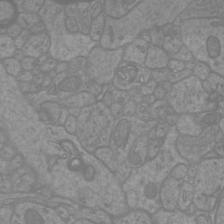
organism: Mouse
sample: Cortical neurons